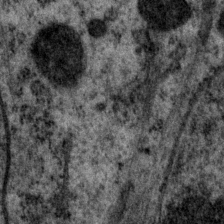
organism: P. pacificus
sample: Pharynx